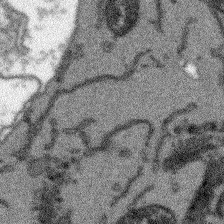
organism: Arabidopsis thaliana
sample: Root tip